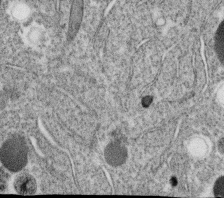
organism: C. elegans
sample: C. elegans oocyte; sperm cells